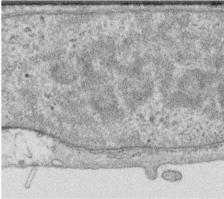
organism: Human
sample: Centriole in RPE cells